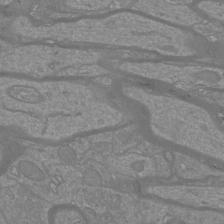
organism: Mouse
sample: Cortical neurons